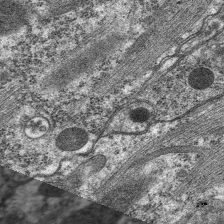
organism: C. elegans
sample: Pharynx